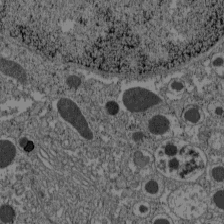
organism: C57BL Mouse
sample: Pancreatic islet